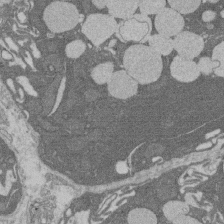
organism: Rat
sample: Salivary granule